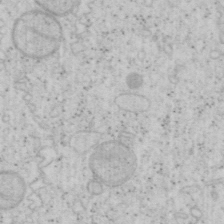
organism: Human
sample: HeLa cells